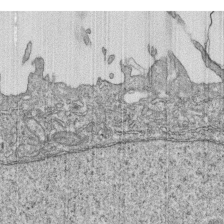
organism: Human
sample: HeLa cell HIV synapse